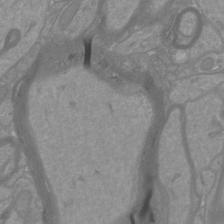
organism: Mouse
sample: Cortical neurons